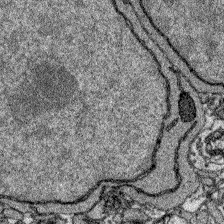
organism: Zebrafish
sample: Larval olfactory bulb